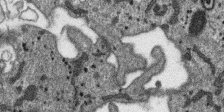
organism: Human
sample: Lung epithelial cells infected with SARS-CoV-2